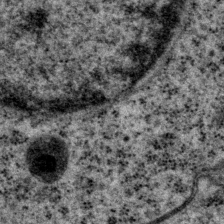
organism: P. pacificus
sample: Pharynx